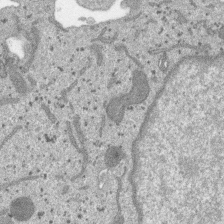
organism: Human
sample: Lung epithelial cells infected with SARS-CoV-2